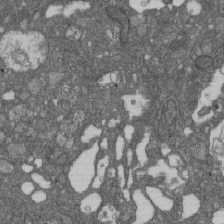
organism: Drosophila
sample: Nephrocyte